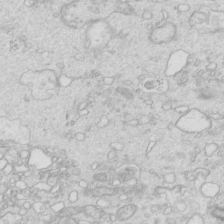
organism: Mouse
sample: Multiciliated cells